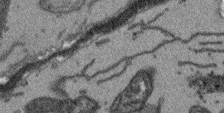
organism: Arabidopsis thaliana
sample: Root tip